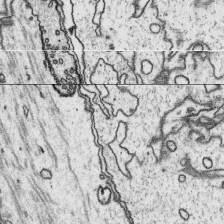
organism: Platynereis dumerilii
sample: Parapodia